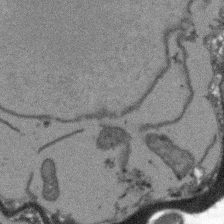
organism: Arabidopsis thaliana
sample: Root tip